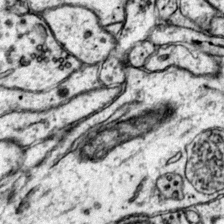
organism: Mouse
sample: Primary visual cortex